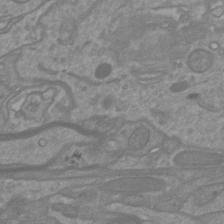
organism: Mouse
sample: Cortical neurons